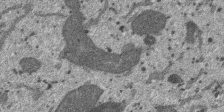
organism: Human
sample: Lung epithelial cells infected with SARS-CoV-2